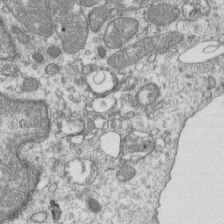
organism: Mouse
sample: Activated OT-1 CD8+ T cells